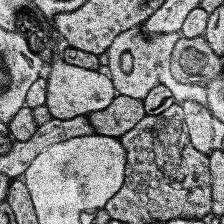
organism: Human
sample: Temporal Lobe